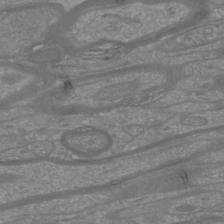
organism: Mouse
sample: Cortical neurons